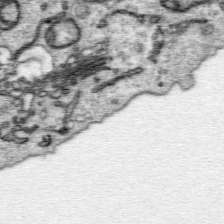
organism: Human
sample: HeLa cells